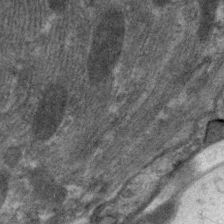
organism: C. elegans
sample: Pharynx